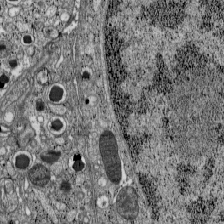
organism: C57BL Mouse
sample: Pancreatic islet